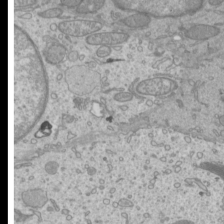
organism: Mouse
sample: Cilia; mouse epididymis